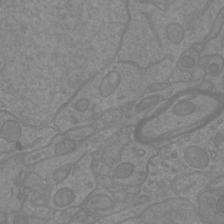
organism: Mouse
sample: Cortical neurons